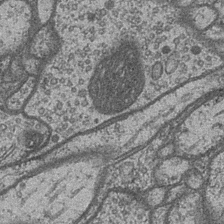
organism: Drosophila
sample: Optic medulla